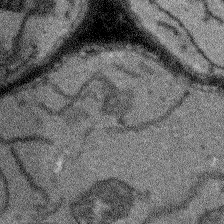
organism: Arabidopsis thaliana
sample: Root tip